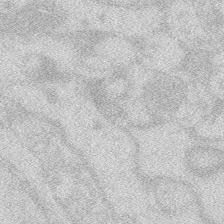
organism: Zebrafish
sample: Macrophage